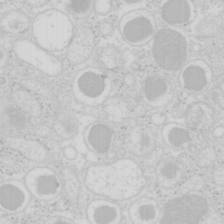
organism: Mouse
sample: Pancreas